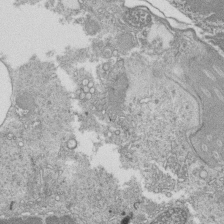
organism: Tetrahymena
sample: Cilia in tetrahymena